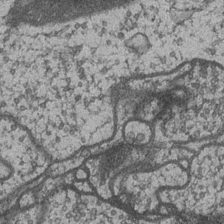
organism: Drosophila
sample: Optic medulla